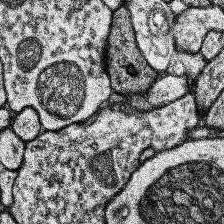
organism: Human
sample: Temporal Lobe